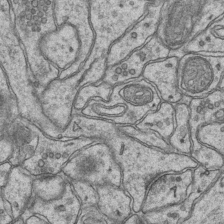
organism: Mouse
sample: CA1 Hippocampus